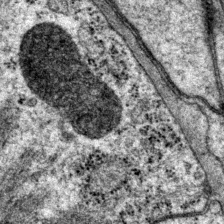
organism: P. pacificus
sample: Pharynx